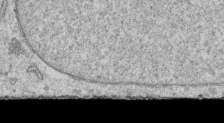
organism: Human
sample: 1205lu cells